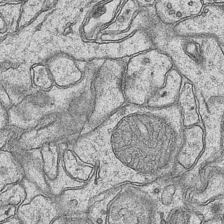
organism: Mouse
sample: CA1 Hippocampus